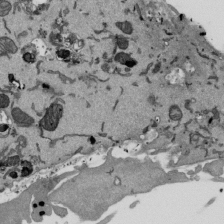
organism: Mouse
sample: ED-1 cell nuclei; centrioles